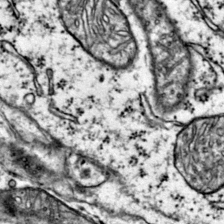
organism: Mouse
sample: Primary visual cortex